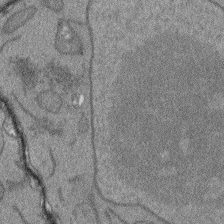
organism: Arabidopsis thaliana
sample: Root tip